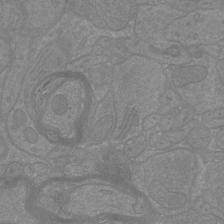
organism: Mouse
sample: Cortical neurons